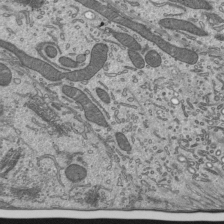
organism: Mouse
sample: Mouse epididymis efferent ductule cilia